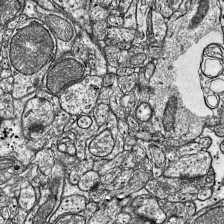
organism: Mouse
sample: Visual Cortex